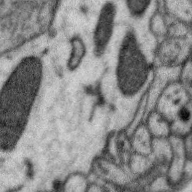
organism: Zebra finch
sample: Brain